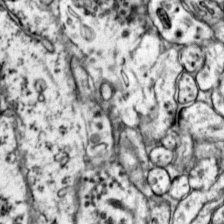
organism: Mouse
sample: Primary visual cortex